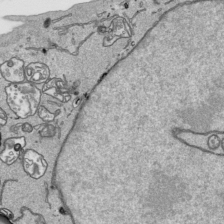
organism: Human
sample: Mitochondria in HCT116 cells